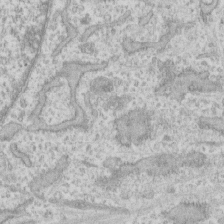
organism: Human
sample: CRL-1474